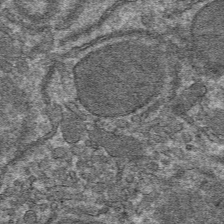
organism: Mouse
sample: Mouse hepatocytes